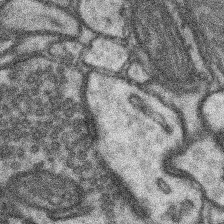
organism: Mouse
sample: Somatosensory cortex neuropil